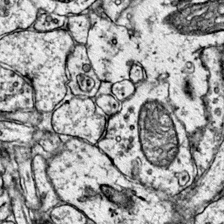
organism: Mouse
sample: Primary visual cortex